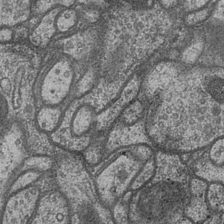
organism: Drosophila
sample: Optic medulla